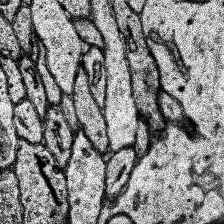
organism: Human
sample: Temporal Lobe